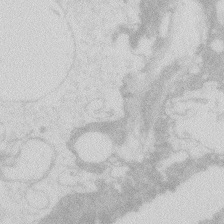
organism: Zebrafish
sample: Macrophage